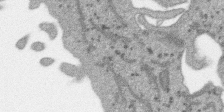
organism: Human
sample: Lung epithelial cells infected with SARS-CoV-2